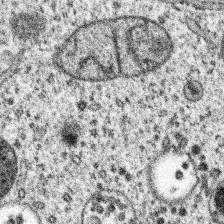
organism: Human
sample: HeLa cells